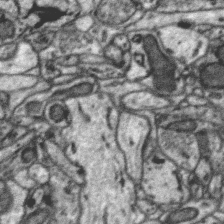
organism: Zebra finch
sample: Brain